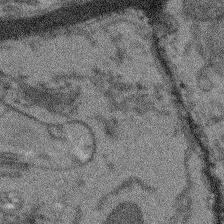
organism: Arabidopsis thaliana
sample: Root tip